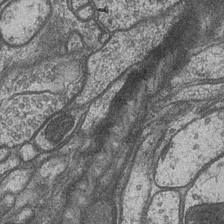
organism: Drosophila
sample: Optic medulla